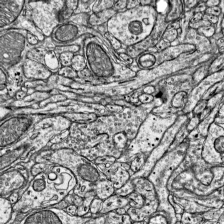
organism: Mouse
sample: Visual Cortex